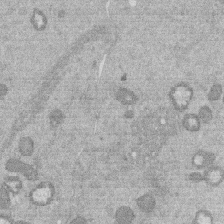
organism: Mouse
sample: Dividing mouse embryo 1 cell stage